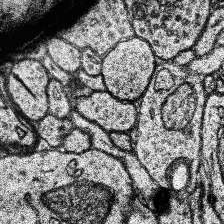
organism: Human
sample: Temporal Lobe